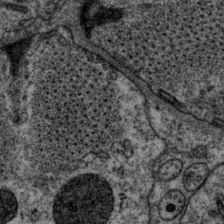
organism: P. pacificus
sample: Pharynx